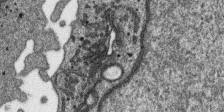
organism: Human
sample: Lung epithelial cells infected with SARS-CoV-2